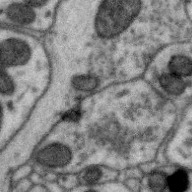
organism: Zebra finch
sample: Brain